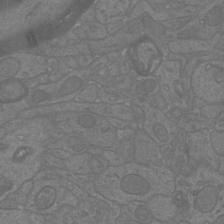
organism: Mouse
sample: Cortical neurons